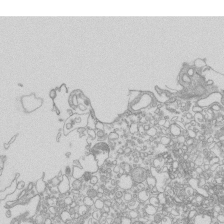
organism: Mouse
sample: Macrophages